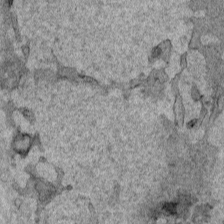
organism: Human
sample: Mitochondria in HCT116 cells